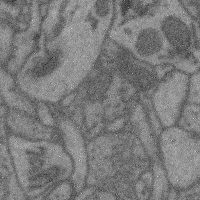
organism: Mouse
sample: Cerebral cortex